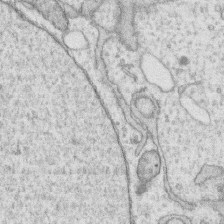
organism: Human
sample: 1205lu cells